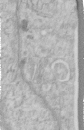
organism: Human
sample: Centriole in RPE cells